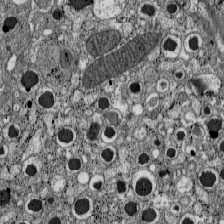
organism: C57BL Mouse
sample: Pancreatic islet